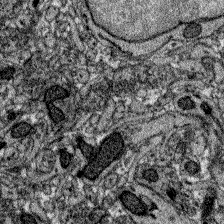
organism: Zebrafish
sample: Larval olfactory bulb